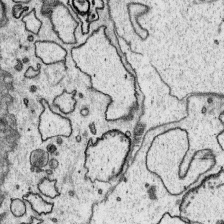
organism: Platynereis dumerilii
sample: Parapodia